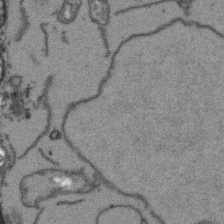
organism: Arabidopsis thaliana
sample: Root tip